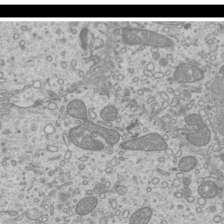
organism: Mouse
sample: Cilia; mouse epididymis